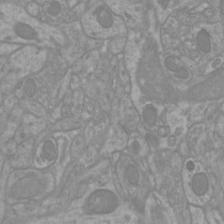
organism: Mouse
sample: Cortical neurons